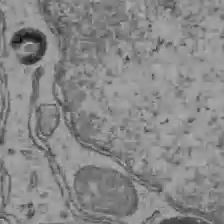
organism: C57BL Mouse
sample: Liver